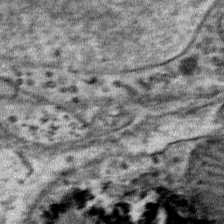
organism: Mouse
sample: Mouse Salivary gland